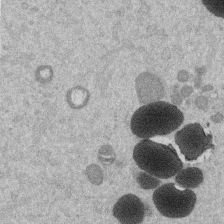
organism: Mouse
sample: Dividing mouse embryo 1 cell stage